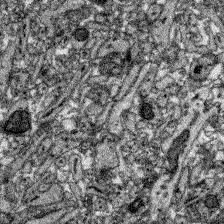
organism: Zebrafish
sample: Larval olfactory bulb